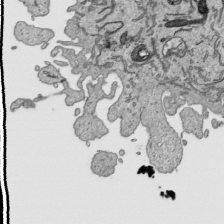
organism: Human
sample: Mitochondria in HCT116 cells